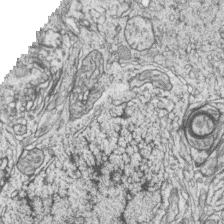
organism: Zebrafish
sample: synaptic ribbons in rod cells and cone cells